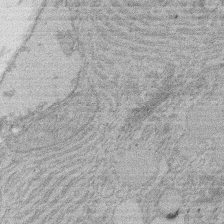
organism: Rat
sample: Salivary granule